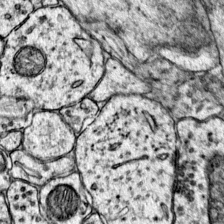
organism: Mouse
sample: Primary visual cortex